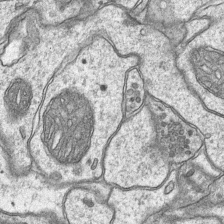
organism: Mouse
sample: CA1 Hippocampus